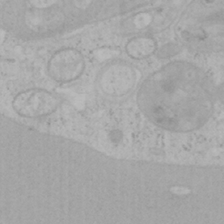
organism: Mouse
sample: OT-I killer T cells with ID8 ovarian cancer cells